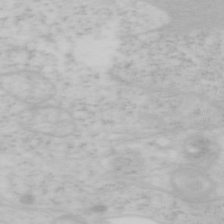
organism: Mouse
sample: OT-I killer T cells with ID8 ovarian cancer cells